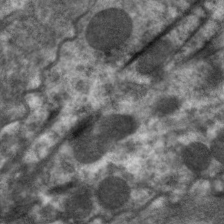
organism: C. elegans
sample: Pharynx